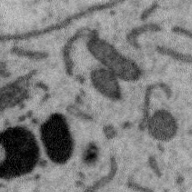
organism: Zebra finch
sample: Brain